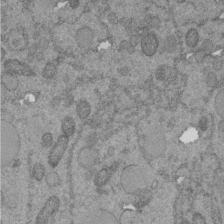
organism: C. elegans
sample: C. elegans embryo early stage